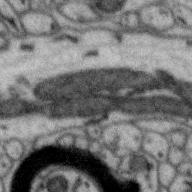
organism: Zebra finch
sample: Brain